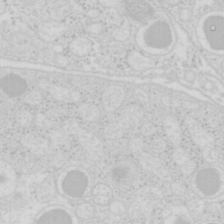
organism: Mouse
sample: Pancreas